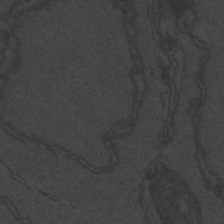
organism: Zebrafish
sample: Macrophage infected with Toxoplasma gondii